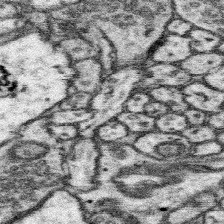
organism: Mouse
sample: Somatosensory cortex neuropil